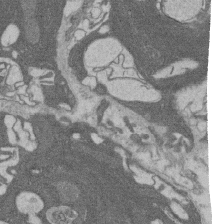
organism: Rat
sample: Salivary granule